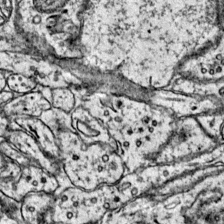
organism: Mouse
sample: Primary visual cortex